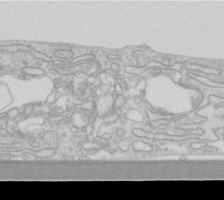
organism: Human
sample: Fibroblast cells